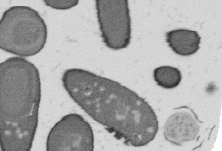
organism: B. subtilis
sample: Bacterial spore